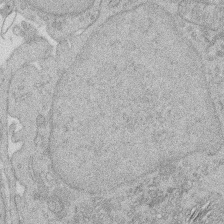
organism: Rat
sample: Salivary granule